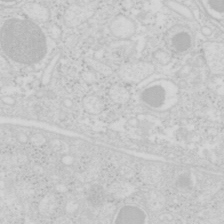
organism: Mouse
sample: Pancreas